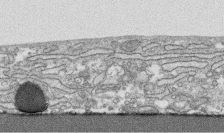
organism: Human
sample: CRL-1474